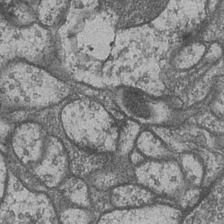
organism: Drosophila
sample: Optic medulla